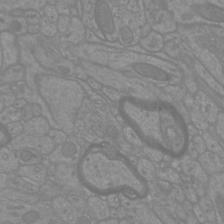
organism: Mouse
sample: Cortical neurons